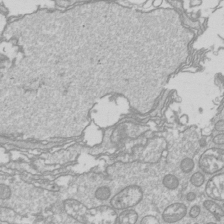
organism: Drosophila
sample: Cell division; meiosis; drosophila spermatocytes